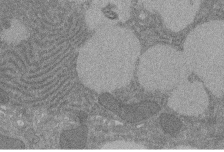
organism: Rat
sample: Salivary granule